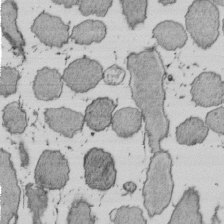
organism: E. coli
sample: Bacterial nucleoid